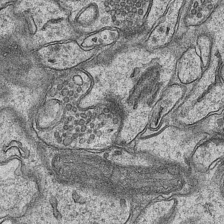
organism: Mouse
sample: CA1 Hippocampus